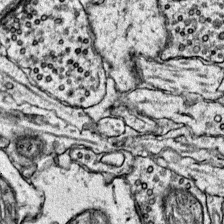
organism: Mouse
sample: Primary visual cortex